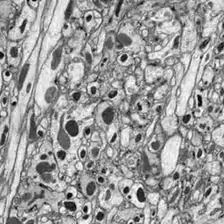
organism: Drosophila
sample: Optic lobe